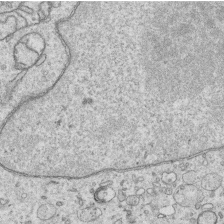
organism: Human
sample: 1205lu cells